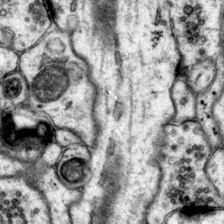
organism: Mouse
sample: Primary visual cortex